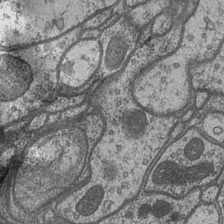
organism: Drosophila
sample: Optic medulla